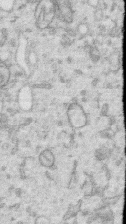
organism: Human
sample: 1205lu cells